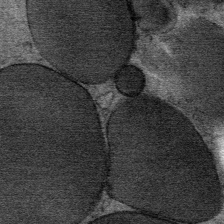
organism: Mouse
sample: Mouse Salivary gland